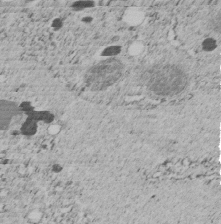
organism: C. elegans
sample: C. elegans embryo early stage